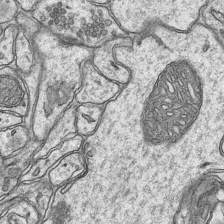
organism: Mouse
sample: CA1 Hippocampus